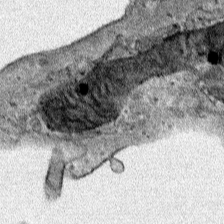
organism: Human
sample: Mitochondria in HCT116 cells